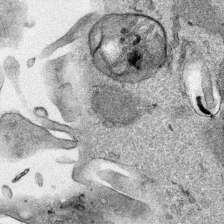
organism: Human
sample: Mitochondria in HCT116 cells